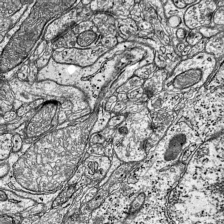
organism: Mouse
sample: Visual Cortex